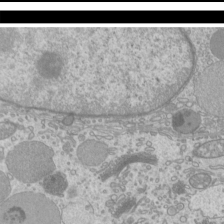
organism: Mouse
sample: Cilia; mouse epididymis